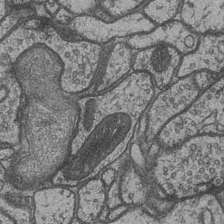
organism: Drosophila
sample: Optic medulla